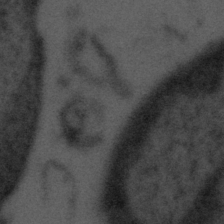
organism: Tuwongella immobilis